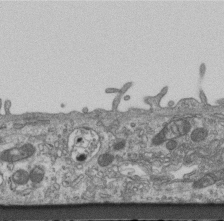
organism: Mouse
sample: Centriole in ependymal cells